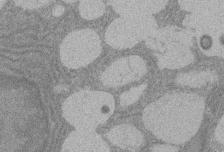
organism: Rat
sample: Salivary granule